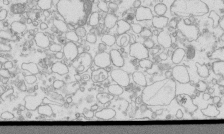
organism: Mouse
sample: Macrophages